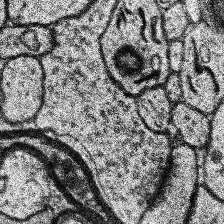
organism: Human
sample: Temporal Lobe